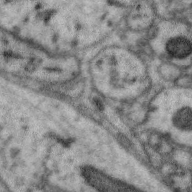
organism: Zebra finch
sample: Brain